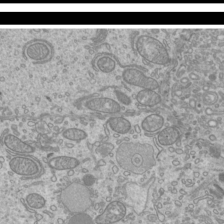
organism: Mouse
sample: Cilia; mouse epididymis